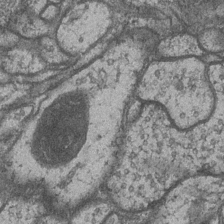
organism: Drosophila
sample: Optic medulla